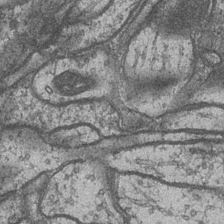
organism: Drosophila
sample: Optic medulla